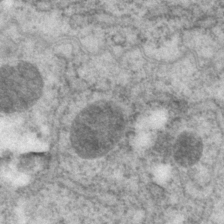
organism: P. pacificus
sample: Pharynx